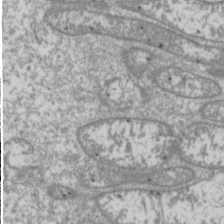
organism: Drosophila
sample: Cell division; meiosis; drosophila spermatocytes